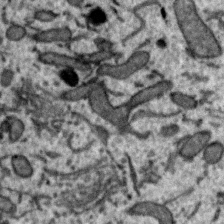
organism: Zebra finch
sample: Brain